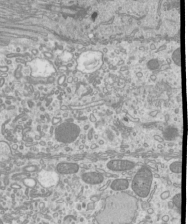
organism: Mouse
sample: Cilia; mouse epididymis